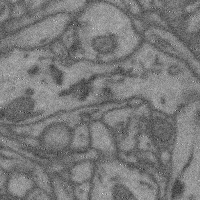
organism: Mouse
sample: Cerebral cortex